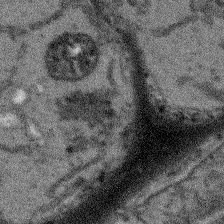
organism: Arabidopsis thaliana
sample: Root tip